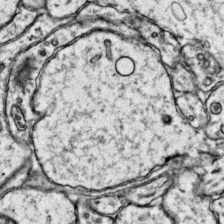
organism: Mouse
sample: Primary visual cortex